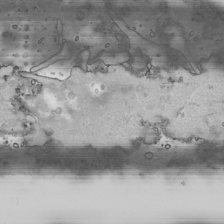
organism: Human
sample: Mitochondria in HCT116 cells